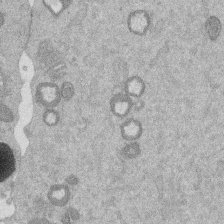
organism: Mouse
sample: Dividing mouse embryo 1 cell stage